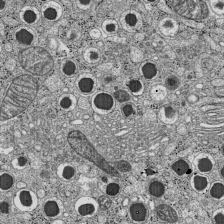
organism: C57BL Mouse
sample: Pancreatic islet